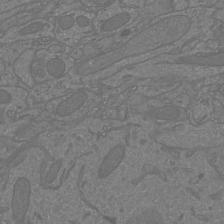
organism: Mouse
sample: Cortical neurons